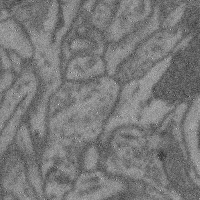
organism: Mouse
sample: Cerebral cortex